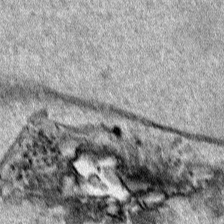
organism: Human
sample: Mitochondria in HCT116 cells